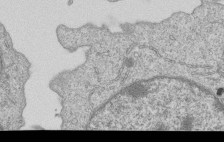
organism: Human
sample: MDA-MB-231 cells